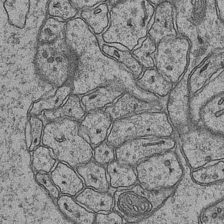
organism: Mouse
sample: CA1 Hippocampus